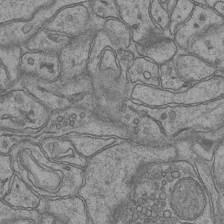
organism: Mouse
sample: CA1 Hippocampus